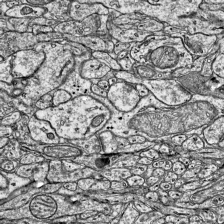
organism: Mouse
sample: Visual Cortex